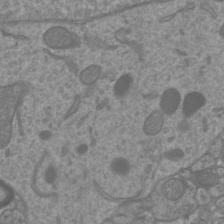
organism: Mouse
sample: Cortical neurons